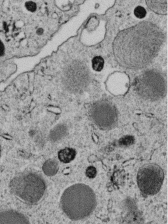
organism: C. elegans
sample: C. elegans embryo early stage